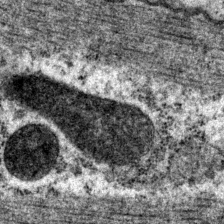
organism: P. pacificus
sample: Pharynx